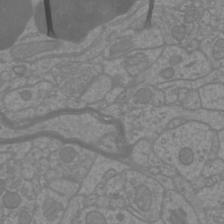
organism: Mouse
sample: Cortical neurons